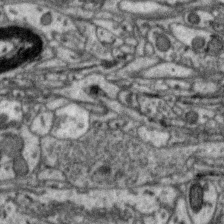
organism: Zebra finch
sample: Brain